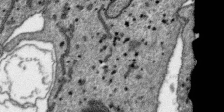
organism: Human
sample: Lung epithelial cells, uninfected (mock) control